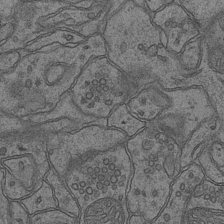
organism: Mouse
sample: CA1 Hippocampus